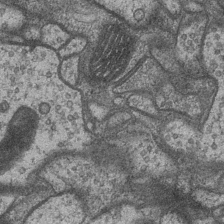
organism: Drosophila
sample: Optic medulla